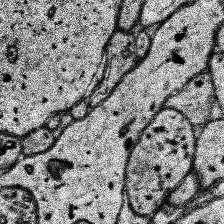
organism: Human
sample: Temporal Lobe